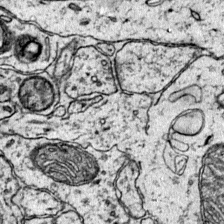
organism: Mouse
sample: Primary visual cortex